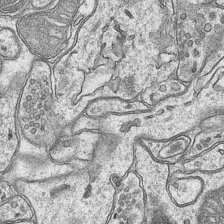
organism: Mouse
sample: CA1 Hippocampus